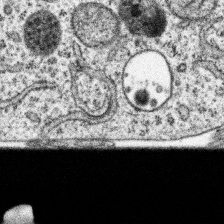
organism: Human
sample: HeLa cells